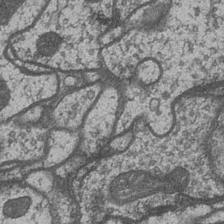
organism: Drosophila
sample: Optic medulla